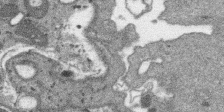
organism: Human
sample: Lung epithelial cells infected with SARS-CoV-2